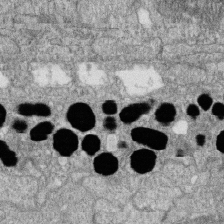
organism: Zebrafish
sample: Cilia; retinal pigment epithelium